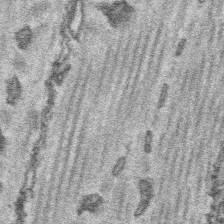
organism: Platynereis dumerilii